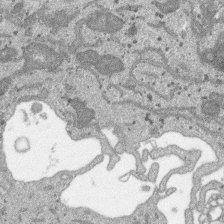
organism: Human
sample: Lung epithelial cells infected with SARS-CoV-2